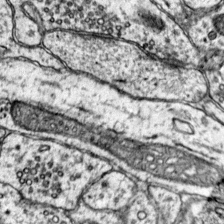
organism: Mouse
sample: Primary visual cortex